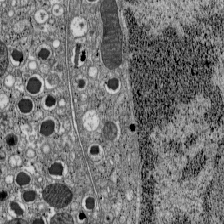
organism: C57BL Mouse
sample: Pancreatic islet